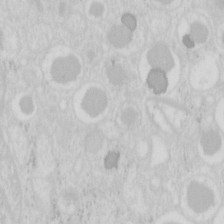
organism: Mouse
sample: Pancreas